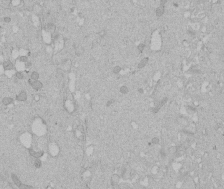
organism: Human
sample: Melanocyte Keratinocyte synapse skin construct